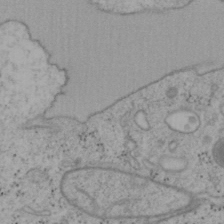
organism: Human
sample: HeLa cells